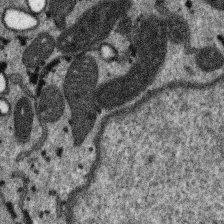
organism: Human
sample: Lung epithelial cells infected with SARS-CoV-2